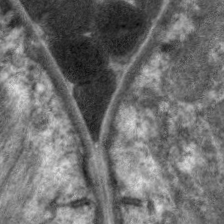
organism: C. elegans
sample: Pharynx